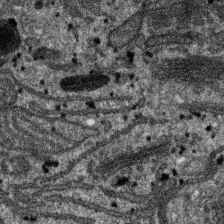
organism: Human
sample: Lung epithelial cells infected with SARS-CoV-2